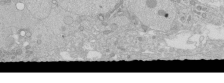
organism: Human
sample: Caco-2 cells